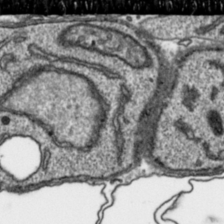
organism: Toxoplasma gondii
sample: Parasites in a vacuole inside a host cell